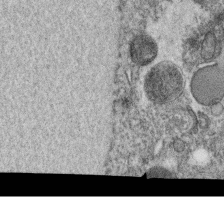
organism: C. elegans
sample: C. elegans oocyte; sperm cells